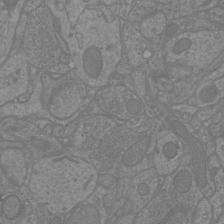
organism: Mouse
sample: Cortical neurons